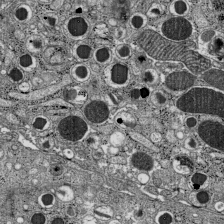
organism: C57BL Mouse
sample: Pancreatic islet